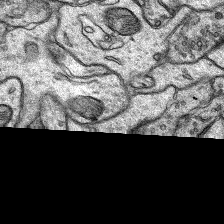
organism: Rat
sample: Hippocampus